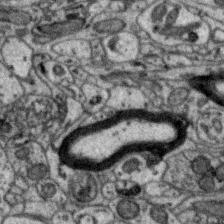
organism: Zebra finch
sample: Brain